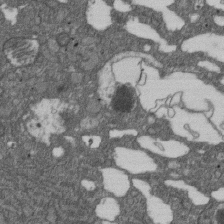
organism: Drosophila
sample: Nephrocyte